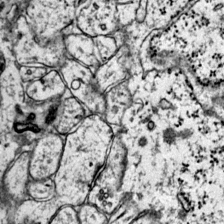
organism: Mouse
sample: Primary visual cortex